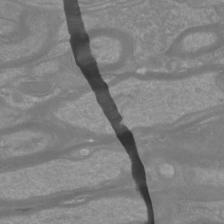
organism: Mouse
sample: Cortical neurons